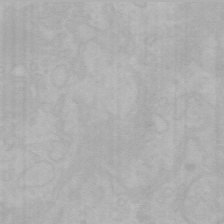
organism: Mouse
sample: Choroid plexus